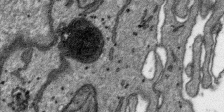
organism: Human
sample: Lung epithelial cells, uninfected (mock) control